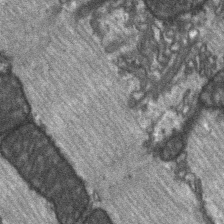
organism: C57BL Mouse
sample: Soleus